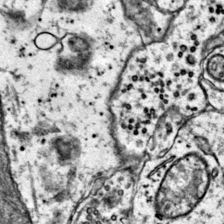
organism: Mouse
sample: Primary visual cortex